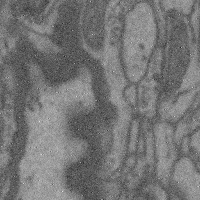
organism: Mouse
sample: Cerebral cortex